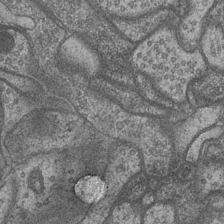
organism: Drosophila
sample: Optic medulla